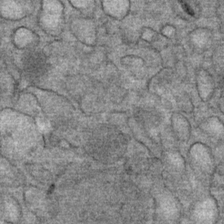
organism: Mouse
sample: Mouse Salivary gland